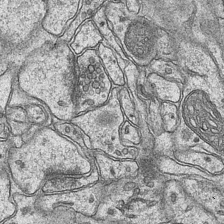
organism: Mouse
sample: CA1 Hippocampus